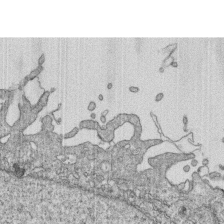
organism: Human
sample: HeLa cell HIV synapse